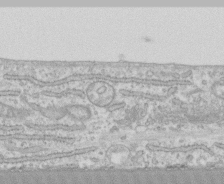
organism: Human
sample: CRL-1474